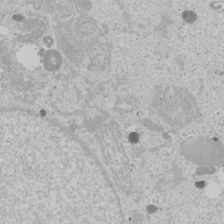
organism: Human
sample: Mitochondria in U2OS cells